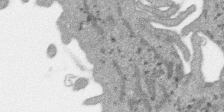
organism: Human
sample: Lung epithelial cells infected with SARS-CoV-2